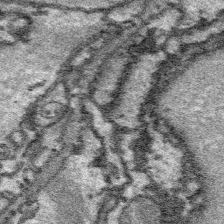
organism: Platynereis dumerilii